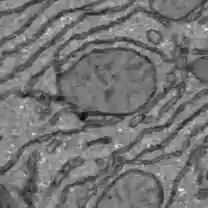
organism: C57BL Mouse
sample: Liver